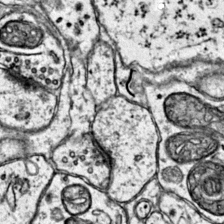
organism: Mouse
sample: Primary visual cortex